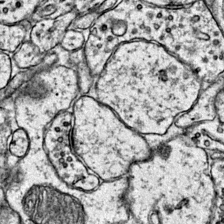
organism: Mouse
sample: Primary visual cortex